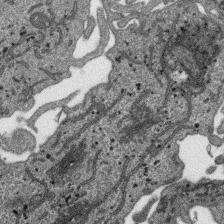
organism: Human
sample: Lung epithelial cells infected with SARS-CoV-2